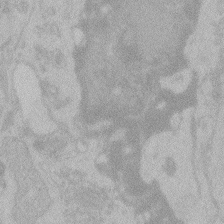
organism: Zebrafish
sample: Macrophage infected with Toxoplasma gondii